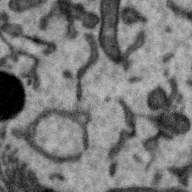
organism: Zebra finch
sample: Brain